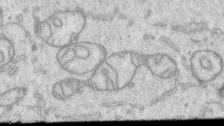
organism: Human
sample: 1205lu cells